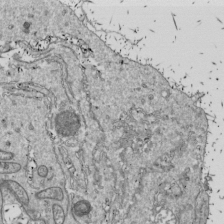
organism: Drosophila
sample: Cell division; meiosis; drosophila spermatocytes